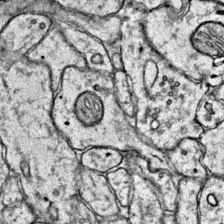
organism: Mouse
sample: Primary visual cortex